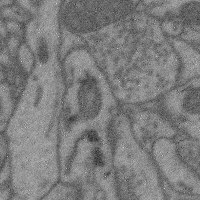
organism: Mouse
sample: Cerebral cortex